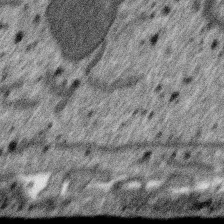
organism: Human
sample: Lung epithelial cells infected with SARS-CoV-2